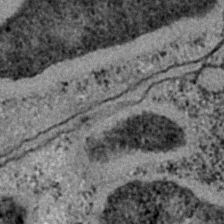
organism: C. elegans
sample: C. elegans embryo